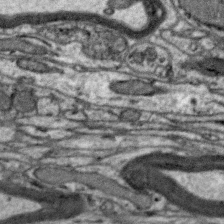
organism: Zebra finch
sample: Brain